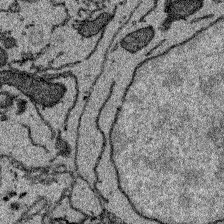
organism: Zebrafish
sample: Larval olfactory bulb